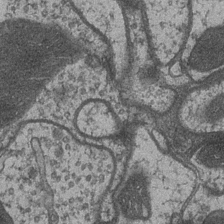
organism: Drosophila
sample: Optic medulla